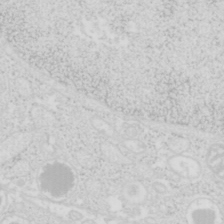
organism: Mouse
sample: Pancreas